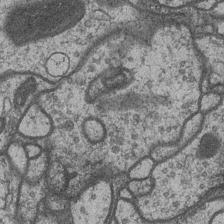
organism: Drosophila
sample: Optic medulla